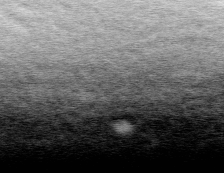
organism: Human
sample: HeLa cells